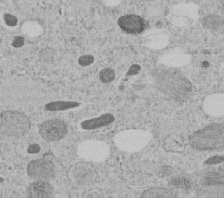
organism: C. elegans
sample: C. elegans embryo early stage